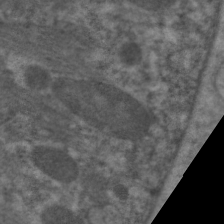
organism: C. elegans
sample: Pharynx